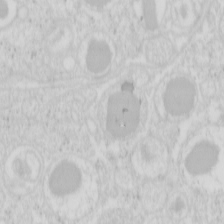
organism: Mouse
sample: Pancreas